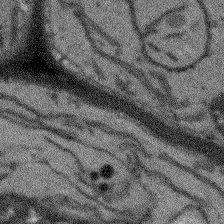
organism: Arabidopsis thaliana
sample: Root tip